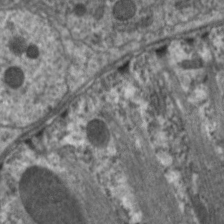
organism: C. elegans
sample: Pharynx